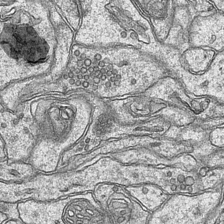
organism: Mouse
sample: CA1 Hippocampus